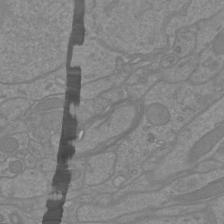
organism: Mouse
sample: Cortical neurons